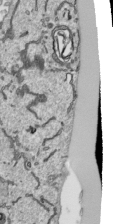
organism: Human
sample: Mitochondria in HCT116 cells